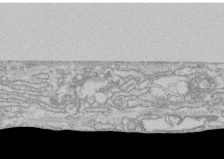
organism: Human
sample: CRL-1474